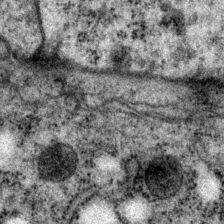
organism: P. pacificus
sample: Pharynx